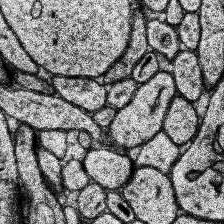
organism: Human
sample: Temporal Lobe